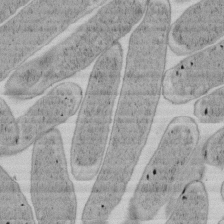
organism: E. coli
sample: Bacterial nucleoid